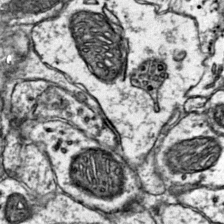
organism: Mouse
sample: Primary visual cortex